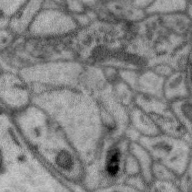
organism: Zebra finch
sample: Brain